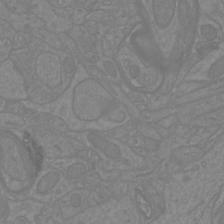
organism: Mouse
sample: Cortical neurons